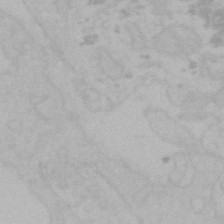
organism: Mouse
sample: Choroid plexus